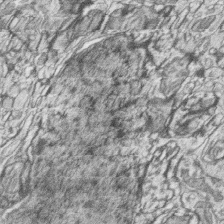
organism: Zebrafish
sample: synaptic ribbons in rod cells and cone cells